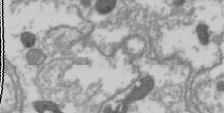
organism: Drosophila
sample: Cell division; meiosis; drosophila spermatocytes